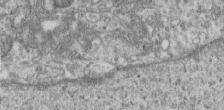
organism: Human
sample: Centriole in RPE cells